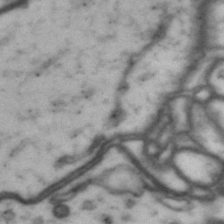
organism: Drosophila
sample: Brain